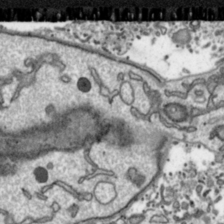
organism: Toxoplasma gondii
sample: Parasites in a vacuole inside a host cell